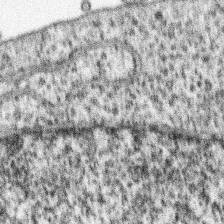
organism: Human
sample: HeLa cells